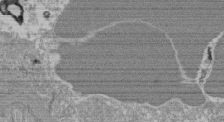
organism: Mouse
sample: Glomerulus